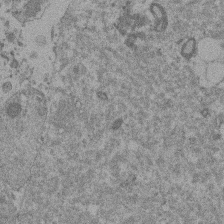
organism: Mouse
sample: Dividing mouse embryo 1 cell stage